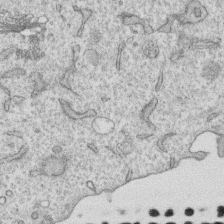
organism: Human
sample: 1205lu cells